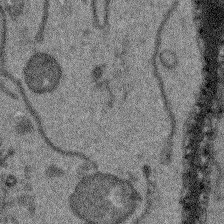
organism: Arabidopsis thaliana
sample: Root tip